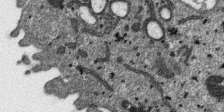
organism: Human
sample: Lung epithelial cells infected with SARS-CoV-2